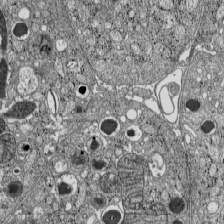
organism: C57BL Mouse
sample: Pancreatic islet